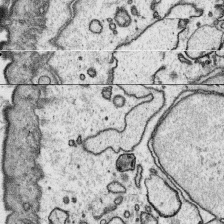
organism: Platynereis dumerilii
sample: Parapodia